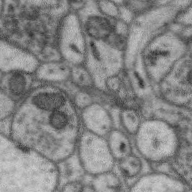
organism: Zebra finch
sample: Brain